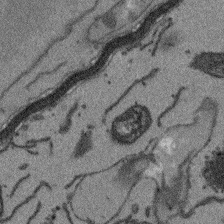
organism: Arabidopsis thaliana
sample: Root tip